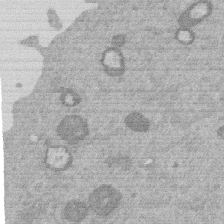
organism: Mouse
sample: Dividing mouse embryo 1 cell stage